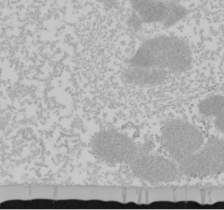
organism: Mouse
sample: Cancer cell death in ED-1 cells